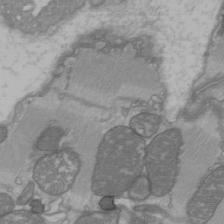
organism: C57BL Mouse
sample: Heart